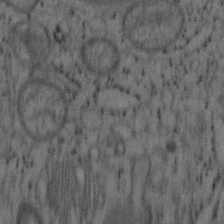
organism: Human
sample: HeLa cells